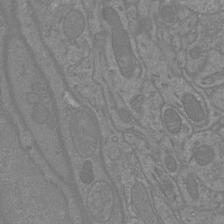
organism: Mouse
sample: Cortical neurons